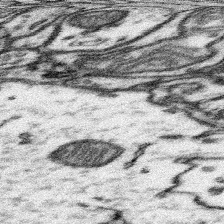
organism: Mouse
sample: Somatosensory cortex neuropil